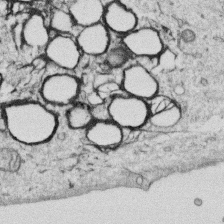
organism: Human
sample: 1205lu cells